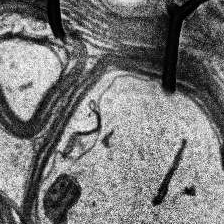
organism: Human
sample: Temporal Lobe